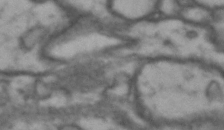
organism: Drosophila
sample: Brain